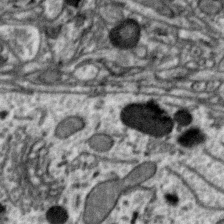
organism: Zebra finch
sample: Brain